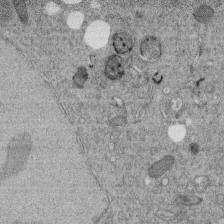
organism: C. elegans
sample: C. elegans embryo early stage